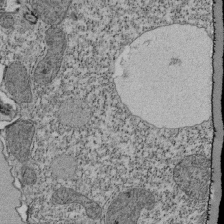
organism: Tetrahymena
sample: Cilia in tetrahymena